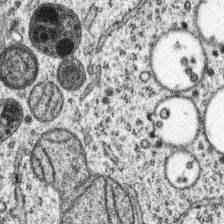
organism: Human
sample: HeLa cells